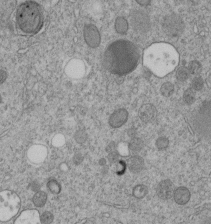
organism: C. elegans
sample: C. elegans embryo early stage